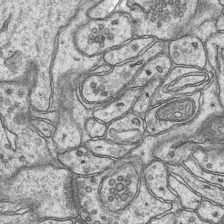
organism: Mouse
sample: CA1 Hippocampus